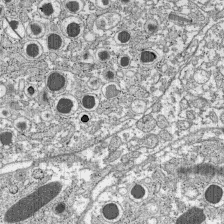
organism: C57BL Mouse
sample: Pancreatic islet